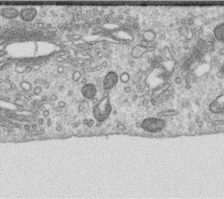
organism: Human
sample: Centriole in RPE cells